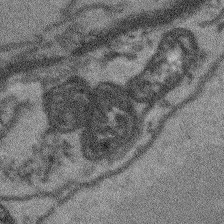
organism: Arabidopsis thaliana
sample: Root tip